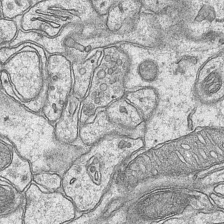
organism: Mouse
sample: CA1 Hippocampus